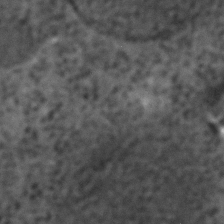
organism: C. elegans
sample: C. elegans embryo